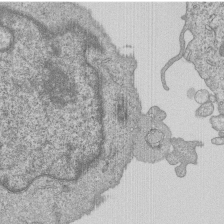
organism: Human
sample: MDA-MB-231 cells